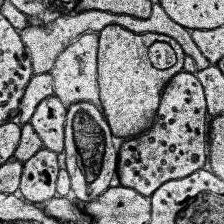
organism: Human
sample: Temporal Lobe